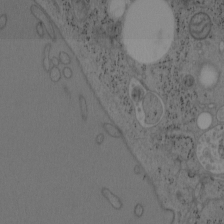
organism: Mouse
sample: OT-I killer T cells with ID8 ovarian cancer cells